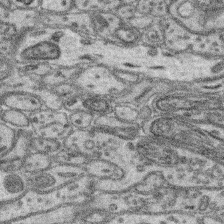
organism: Mouse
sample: Retina